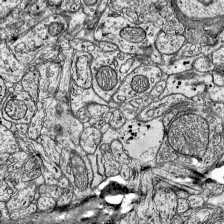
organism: Mouse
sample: Visual Cortex